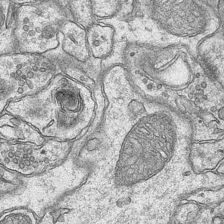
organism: Mouse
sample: CA1 Hippocampus